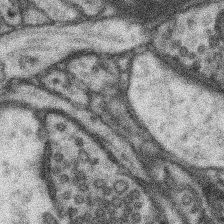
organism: Mouse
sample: Somatosensory cortex neuropil